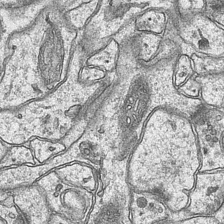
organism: Mouse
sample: CA1 Hippocampus